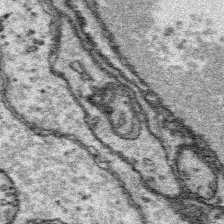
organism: Platynereis dumerilii